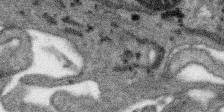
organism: Human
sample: Lung epithelial cells infected with SARS-CoV-2